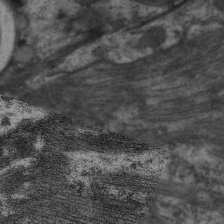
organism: C. elegans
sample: Pharynx